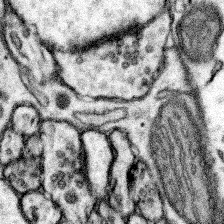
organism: Mouse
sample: Somatosensory cortex neuropil